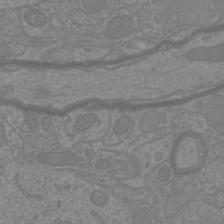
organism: Mouse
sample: Cortical neurons